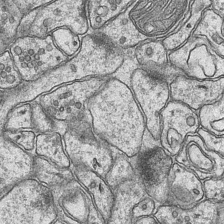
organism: Mouse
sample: CA1 Hippocampus